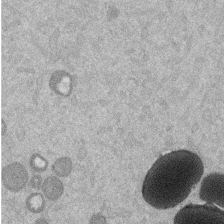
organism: Mouse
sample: Dividing mouse embryo 1 cell stage